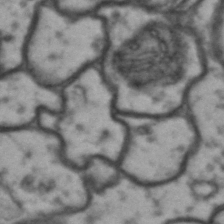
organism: Drosophila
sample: Brain